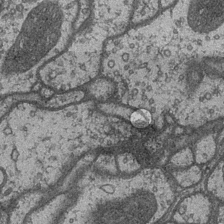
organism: Drosophila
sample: Optic medulla